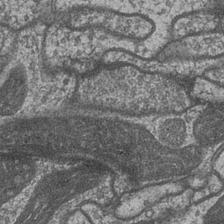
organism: Drosophila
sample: Optic medulla